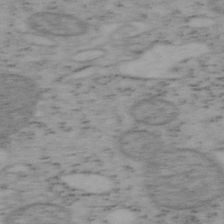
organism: Mouse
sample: OT-I killer T cells with ID8 ovarian cancer cells